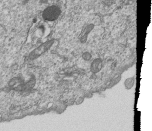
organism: Human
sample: MDA-MB-231 cells